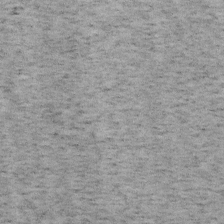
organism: Mouse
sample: OT-I killer T cells with ID8 ovarian cancer cells